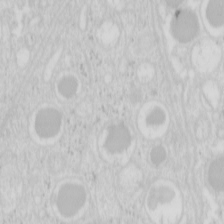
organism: Mouse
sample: Pancreas